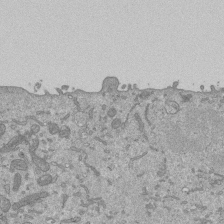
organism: Mouse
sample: ED-1 cell nuclei; centrioles